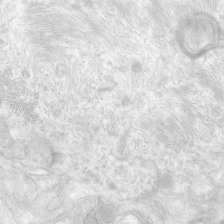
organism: Human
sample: Neocortex